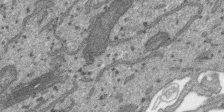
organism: Human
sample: Lung epithelial cells infected with SARS-CoV-2